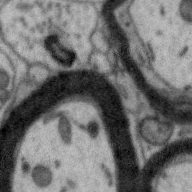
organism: Zebra finch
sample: Brain